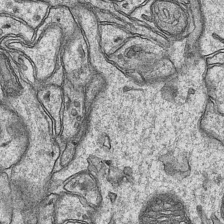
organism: Mouse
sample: CA1 Hippocampus